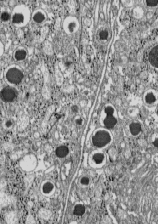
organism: C57BL Mouse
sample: Pancreatic islet